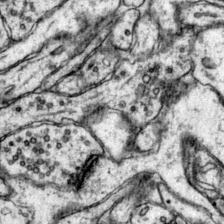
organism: Mouse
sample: Primary visual cortex